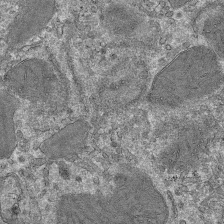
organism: Mouse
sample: Mouse hepatocytes